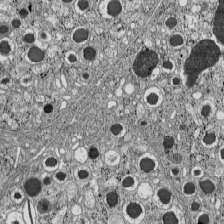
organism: C57BL Mouse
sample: Pancreatic islet